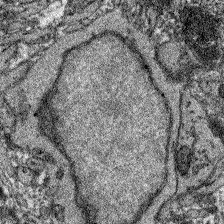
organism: Zebrafish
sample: Larval olfactory bulb